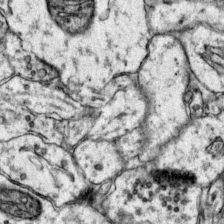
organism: Mouse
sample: Primary visual cortex